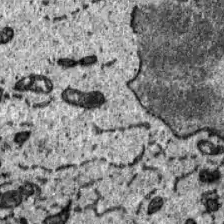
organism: Human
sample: HeLa cells